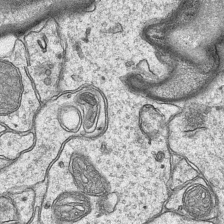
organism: Mouse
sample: CA1 Hippocampus